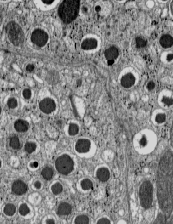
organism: C57BL Mouse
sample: Pancreatic islet